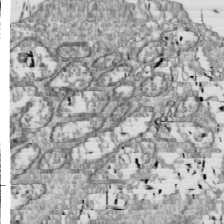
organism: Drosophila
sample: Cell division; meiosis; drosophila spermatocytes